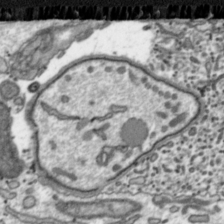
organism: Toxoplasma gondii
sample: Parasites in a vacuole inside a host cell